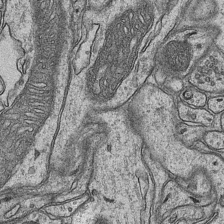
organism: Mouse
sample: CA1 Hippocampus